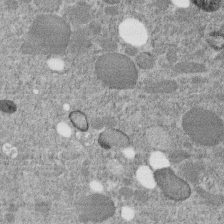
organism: C. elegans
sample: C. elegans embryo early stage